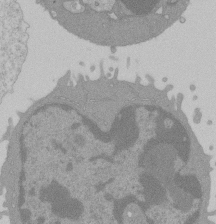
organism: Mouse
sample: Activated Pmel transgenic CD8+ T Cells